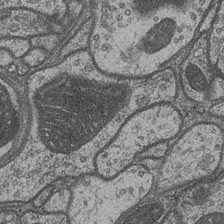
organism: Drosophila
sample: Optic medulla